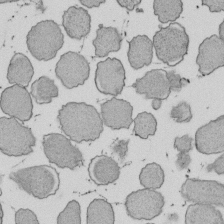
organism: E. coli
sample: Bacterial nucleoid